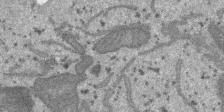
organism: Human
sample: Lung epithelial cells infected with SARS-CoV-2